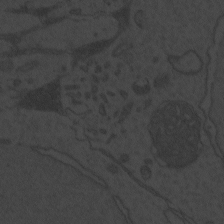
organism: Zebrafish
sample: Macrophage infected with Toxoplasma gondii